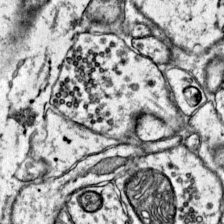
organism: Mouse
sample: Primary visual cortex